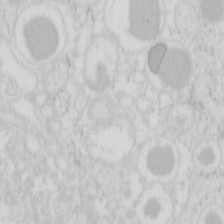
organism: Mouse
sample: Pancreas